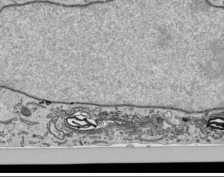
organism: Human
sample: Mitochondria in HCT116 cells